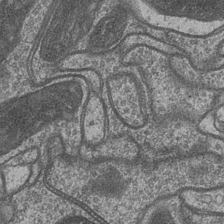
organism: Drosophila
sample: Optic medulla